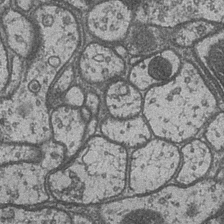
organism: Drosophila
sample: Optic medulla